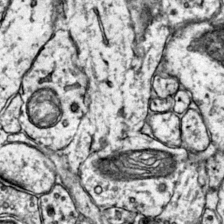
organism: Mouse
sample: Primary visual cortex